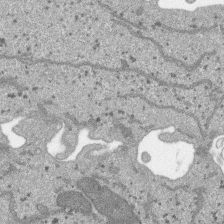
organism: Human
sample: Lung epithelial cells infected with SARS-CoV-2